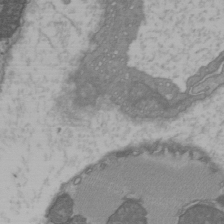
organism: C57BL Mouse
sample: Heart